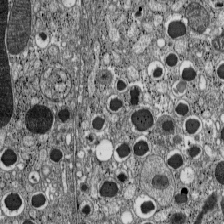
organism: C57BL Mouse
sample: Pancreatic islet